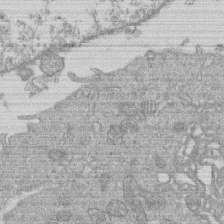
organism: Human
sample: Macrophage cells